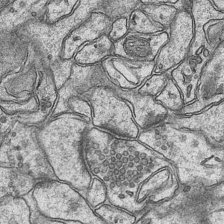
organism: Mouse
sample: CA1 Hippocampus